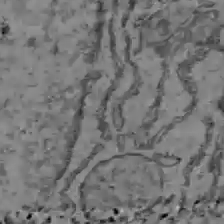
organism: C57BL Mouse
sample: Liver